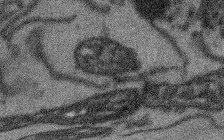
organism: Arabidopsis thaliana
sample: Root tip